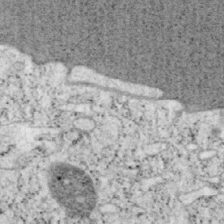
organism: Mouse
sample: OT-I killer T cells with ID8 ovarian cancer cells